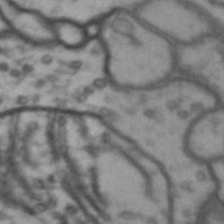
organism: Drosophila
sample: Brain